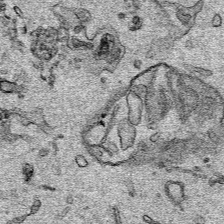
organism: Human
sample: Mitochondria in HCT116 cells